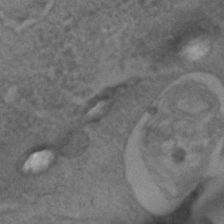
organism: C. elegans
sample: C. elegans embryo